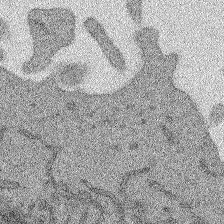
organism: Human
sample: HeLa cells